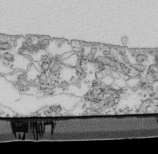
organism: Mouse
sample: Cilia; retinal pigment epithelium